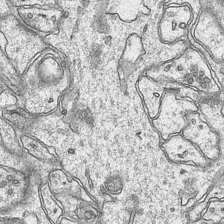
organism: Mouse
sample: CA1 Hippocampus